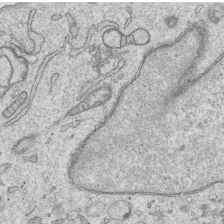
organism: Human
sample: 1205lu cells